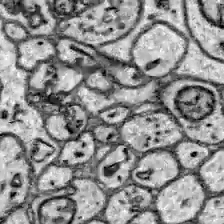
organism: Zebrafish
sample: Brain